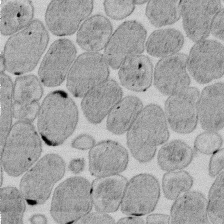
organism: E. coli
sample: Bacterial nucleoid